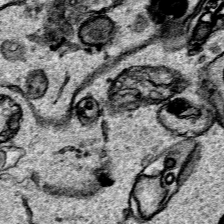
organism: Human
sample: Mitochondria in HCT116 cells